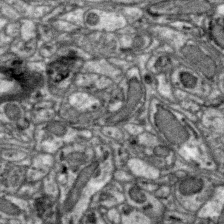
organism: Zebra finch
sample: Brain